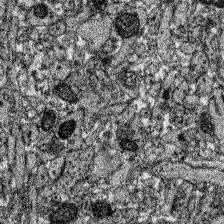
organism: Zebrafish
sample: Larval olfactory bulb